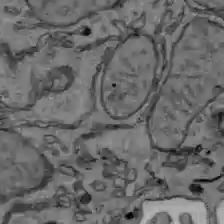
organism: C57BL Mouse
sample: Liver